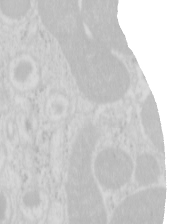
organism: Mouse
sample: Pancreas